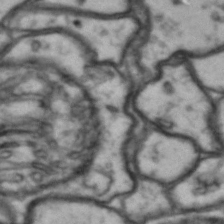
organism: Drosophila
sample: Brain